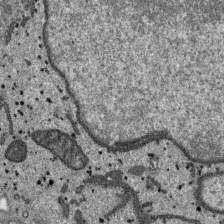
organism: Human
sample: Lung epithelial cells, uninfected (mock) control